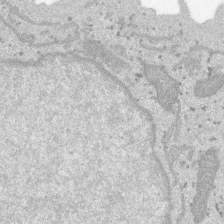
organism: Human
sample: Lung epithelial cells infected with SARS-CoV-2